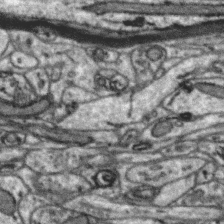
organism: Zebra finch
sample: Brain